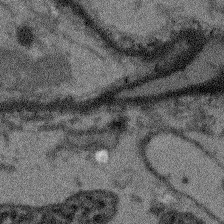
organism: Arabidopsis thaliana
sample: Root tip